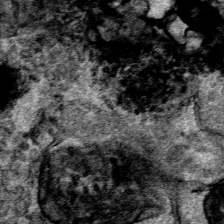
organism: Human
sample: Mitochondria in HCT116 cells